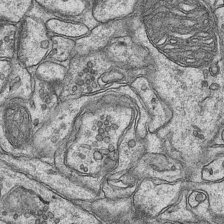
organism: Mouse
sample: CA1 Hippocampus